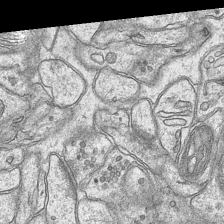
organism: Mouse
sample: CA1 Hippocampus